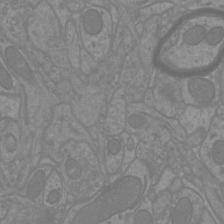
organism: Mouse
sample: Cortical neurons